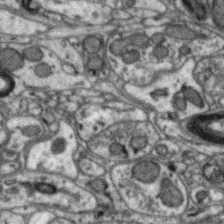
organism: Zebra finch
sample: Brain